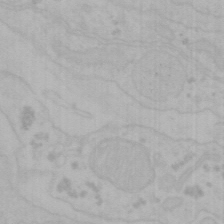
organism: Mouse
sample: Choroid plexus